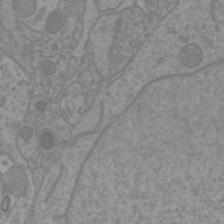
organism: Mouse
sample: Cortical neurons